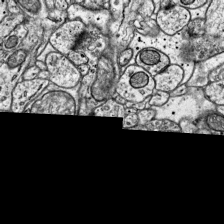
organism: Mouse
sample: Visual Cortex